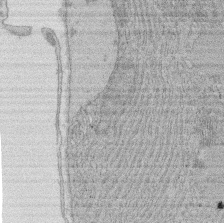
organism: Rat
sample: Salivary granule